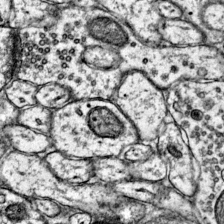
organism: Mouse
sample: Primary visual cortex